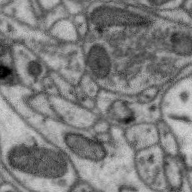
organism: Zebra finch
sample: Brain